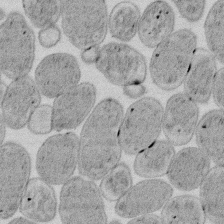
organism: E. coli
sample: Bacterial nucleoid